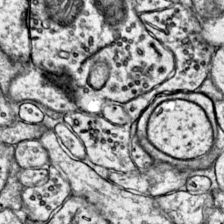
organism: Mouse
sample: Primary visual cortex